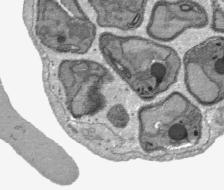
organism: Plasmodium falciparum